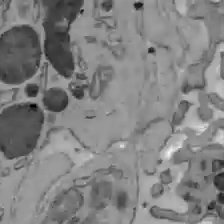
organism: C57BL Mouse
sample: Liver